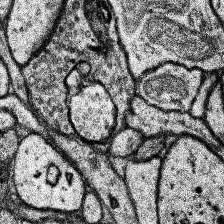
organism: Human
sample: Temporal Lobe